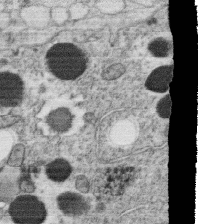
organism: C. elegans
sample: C. elegans oocyte; sperm cells